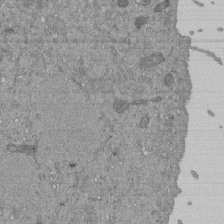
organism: Mouse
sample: ED-1 cell nuclei; centrioles